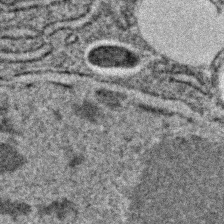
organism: C. elegans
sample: C. elegans embryo